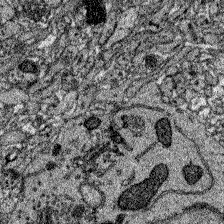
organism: Zebrafish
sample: Larval olfactory bulb